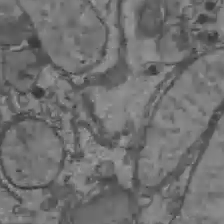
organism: C57BL Mouse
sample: Liver